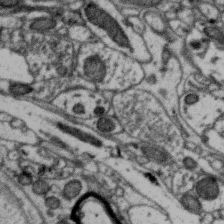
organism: Zebra finch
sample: Brain